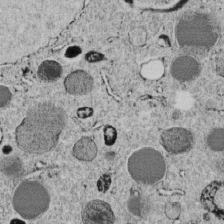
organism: C. elegans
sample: C. elegans embryo early stage